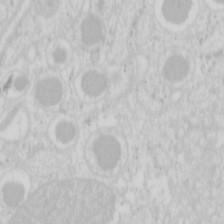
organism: Mouse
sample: Pancreas